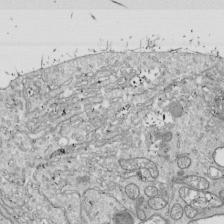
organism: Drosophila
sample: Cell division; meiosis; drosophila spermatocytes